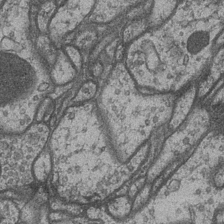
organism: Drosophila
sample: Optic medulla